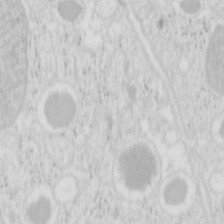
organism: Mouse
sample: Pancreas